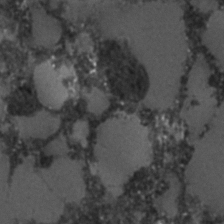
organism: C. elegans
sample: C. elegans embryo